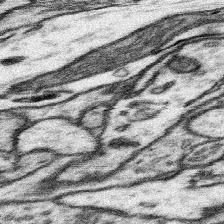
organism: Mouse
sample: Somatosensory cortex neuropil